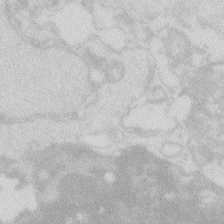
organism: Zebrafish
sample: Macrophage